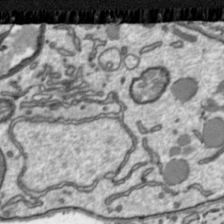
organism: Toxoplasma gondii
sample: Parasites in a vacuole inside a host cell